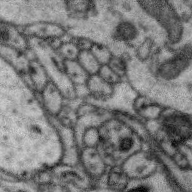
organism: Zebra finch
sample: Brain